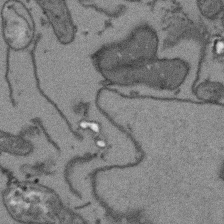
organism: Arabidopsis thaliana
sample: Root tip